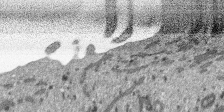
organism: Human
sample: Lung epithelial cells infected with SARS-CoV-2